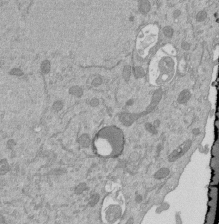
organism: Mouse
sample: ED-1 cell nuclei; centrioles